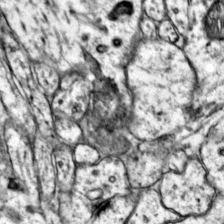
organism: Mouse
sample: Primary visual cortex